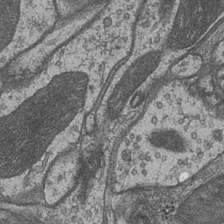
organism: Drosophila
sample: Optic medulla